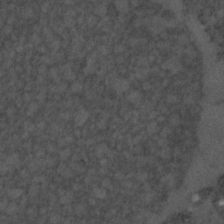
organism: C. elegans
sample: C. elegans embryo